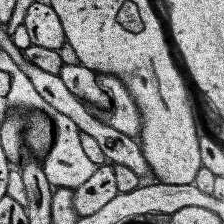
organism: Human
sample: Temporal Lobe